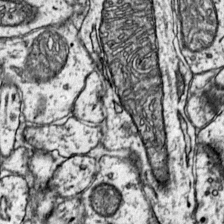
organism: Mouse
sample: Primary visual cortex